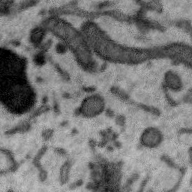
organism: Zebra finch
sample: Brain